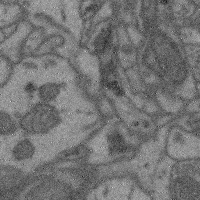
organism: Mouse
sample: Cerebral cortex